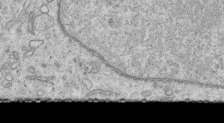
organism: Human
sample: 1205lu cells